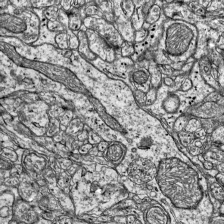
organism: Mouse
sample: Visual Cortex